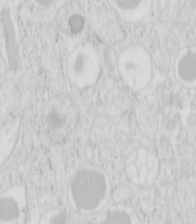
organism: Mouse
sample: Pancreas